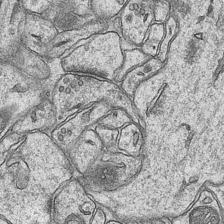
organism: Mouse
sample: CA1 Hippocampus